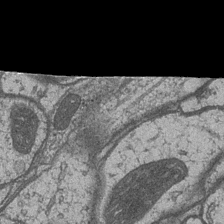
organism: Drosophila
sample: Optic medulla